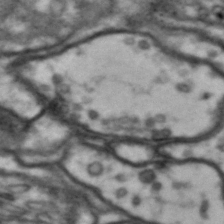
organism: Drosophila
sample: Brain